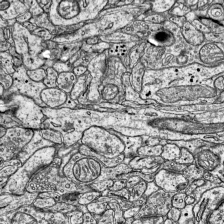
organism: Mouse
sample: Visual Cortex